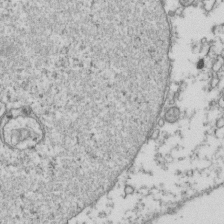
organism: Human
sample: Activated Jurkat CD4+ T cells